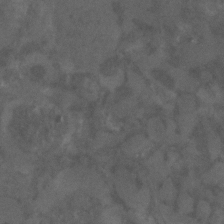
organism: C. elegans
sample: C. elegans embryo